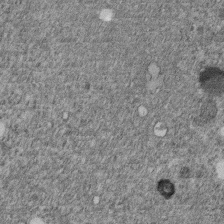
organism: C. elegans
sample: C. elegans embryo early stage